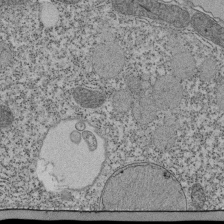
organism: Tetrahymena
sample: Cilia in tetrahymena